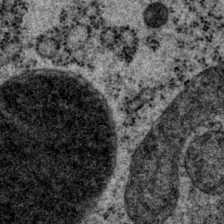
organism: P. pacificus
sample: Pharynx